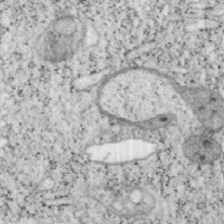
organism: Mouse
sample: OT-I killer T cells with ID8 ovarian cancer cells